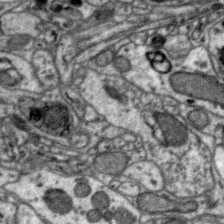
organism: Zebra finch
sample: Brain